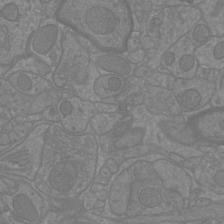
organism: Mouse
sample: Cortical neurons